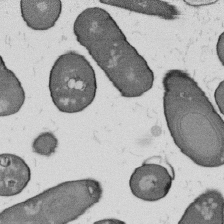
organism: B. subtilis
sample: Bacterial spore